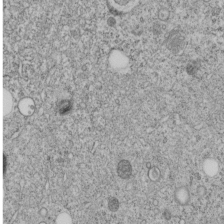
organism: C. elegans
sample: C. elegans embryo early stage